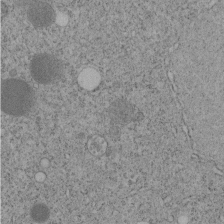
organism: C. elegans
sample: C. elegans embryo early stage